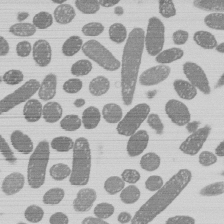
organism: E. coli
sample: Bacterial nucleoid